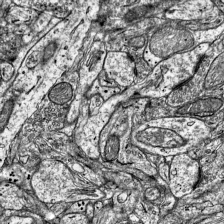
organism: Mouse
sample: Visual Cortex